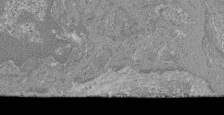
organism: Mouse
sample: Glomerulus